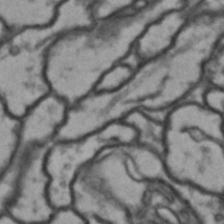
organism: Drosophila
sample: Brain